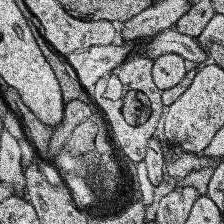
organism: Human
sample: Temporal Lobe